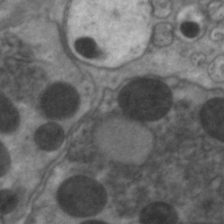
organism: C. elegans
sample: Pharynx